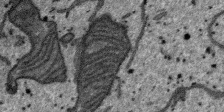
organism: Human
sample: Lung epithelial cells, uninfected (mock) control